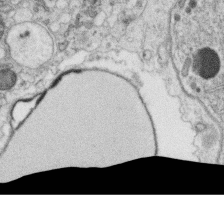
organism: C. elegans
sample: C. elegans oocyte; sperm cells